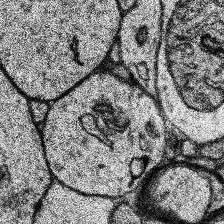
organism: Human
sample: Temporal Lobe